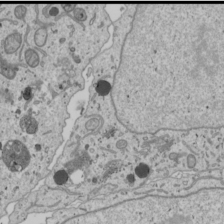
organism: Human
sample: Mitochondria in U2OS cells